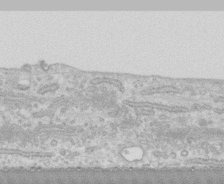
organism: Human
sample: CRL-1474